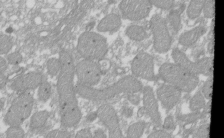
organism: Xenopus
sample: Cilia; centrioles in frog embryo cells